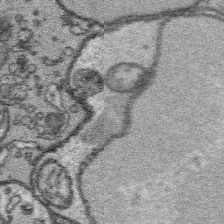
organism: Platynereis dumerilii